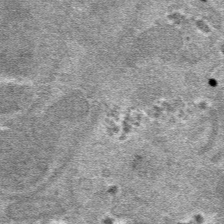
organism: Mouse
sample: Mouse hepatocytes